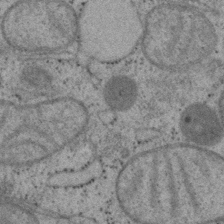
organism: Human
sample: HeLa cells